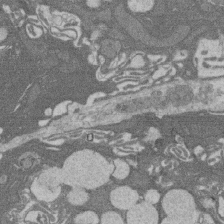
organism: Rat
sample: Salivary granule